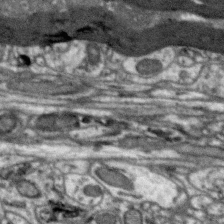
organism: Zebra finch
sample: Brain